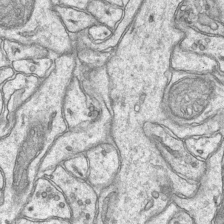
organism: Mouse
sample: CA1 Hippocampus